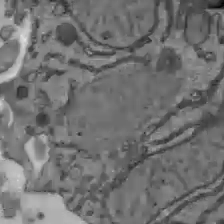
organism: C57BL Mouse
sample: Liver